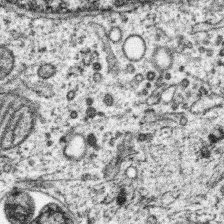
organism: Human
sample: HeLa cells